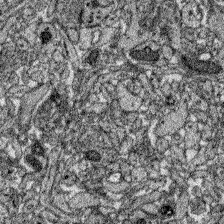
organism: Zebrafish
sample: Larval olfactory bulb